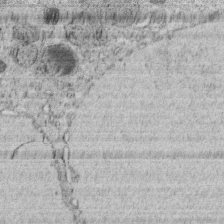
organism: C. elegans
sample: C. elegans embryo early stage